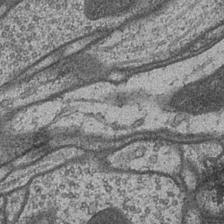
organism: Drosophila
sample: Optic medulla